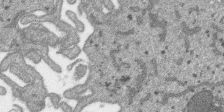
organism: Human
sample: Lung epithelial cells infected with SARS-CoV-2